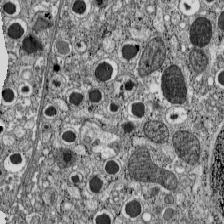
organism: C57BL Mouse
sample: Pancreatic islet